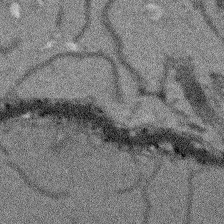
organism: Arabidopsis thaliana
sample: Root tip